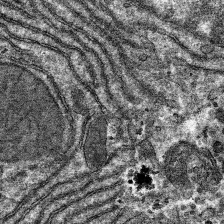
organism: Mouse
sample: Mouse hepatocytes